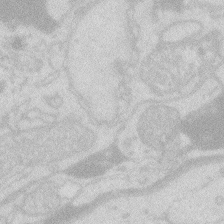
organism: Zebrafish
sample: Macrophage